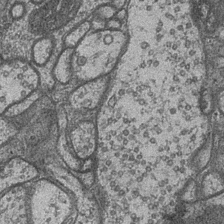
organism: Drosophila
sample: Optic medulla